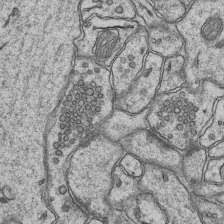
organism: Mouse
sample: CA1 Hippocampus